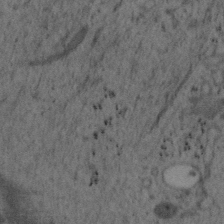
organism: Human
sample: HeLa cells